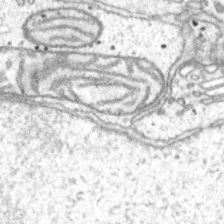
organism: Human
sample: HeLa cells